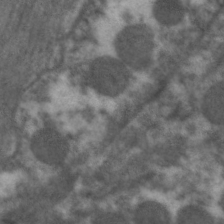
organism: C. elegans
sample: Pharynx